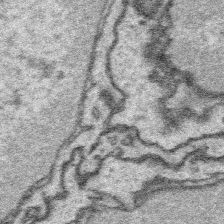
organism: Platynereis dumerilii